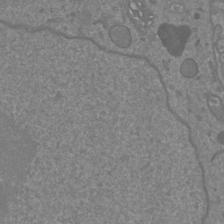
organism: Mouse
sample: Cortical neurons